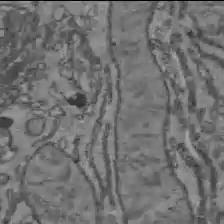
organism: C57BL Mouse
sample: Liver